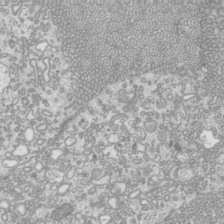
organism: Mouse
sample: Cilia; mouse epididymis